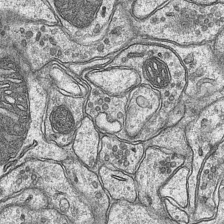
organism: Mouse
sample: CA1 Hippocampus